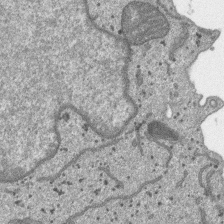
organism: Human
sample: Lung epithelial cells infected with SARS-CoV-2